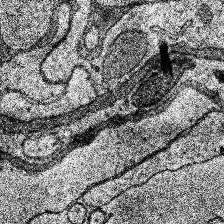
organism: Human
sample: Temporal Lobe